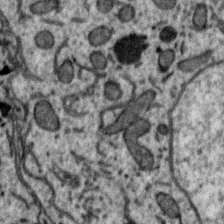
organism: Zebra finch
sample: Brain